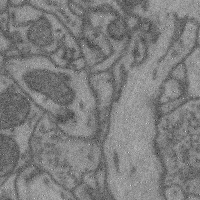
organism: Mouse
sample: Cerebral cortex